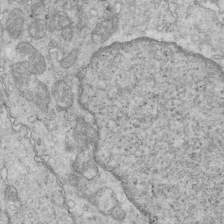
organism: Mouse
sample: Multiciliated cells